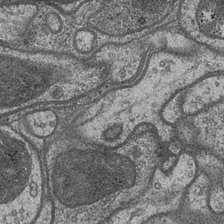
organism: Drosophila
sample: Optic medulla